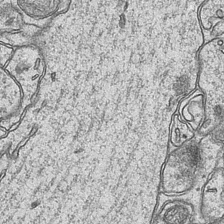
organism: Mouse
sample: CA1 Hippocampus